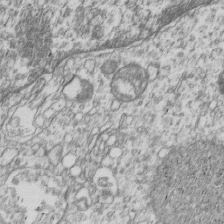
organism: Human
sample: MDA-MB-231 cells